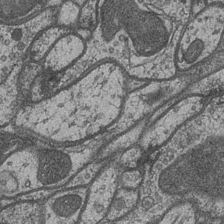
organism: Drosophila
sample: Optic medulla